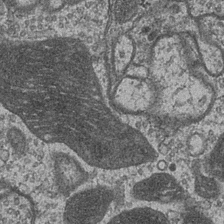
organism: Drosophila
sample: Optic medulla